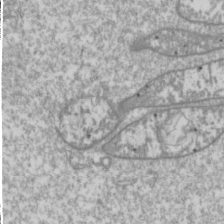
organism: Drosophila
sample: Cell division; meiosis; drosophila spermatocytes